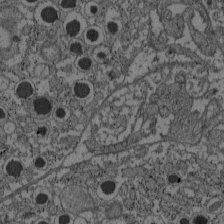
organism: C57BL Mouse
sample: Pancreatic islet